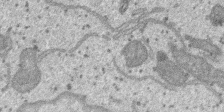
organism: Human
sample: Lung epithelial cells infected with SARS-CoV-2